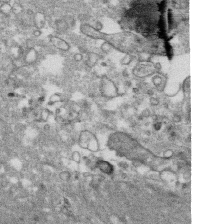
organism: Human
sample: CRL-1474